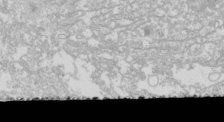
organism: Drosophila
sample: Cell division; meiosis; drosophila spermatocytes